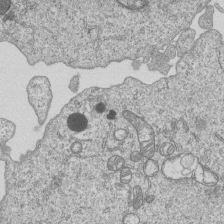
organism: Human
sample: MDA-MB-231 cells